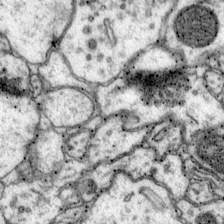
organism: Mouse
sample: Primary visual cortex